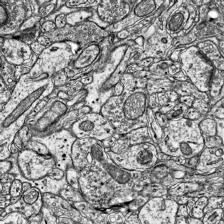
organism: Mouse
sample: Visual Cortex